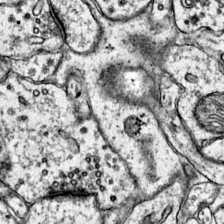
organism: Mouse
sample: Primary visual cortex